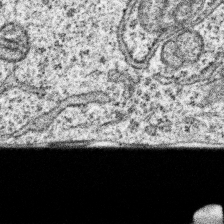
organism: Human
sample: HeLa cells